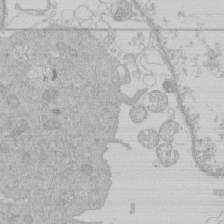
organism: Human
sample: Macrophage cells